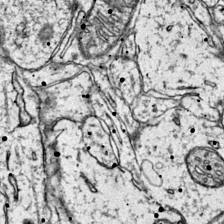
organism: Mouse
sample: Primary visual cortex